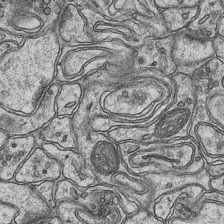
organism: Mouse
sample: CA1 Hippocampus